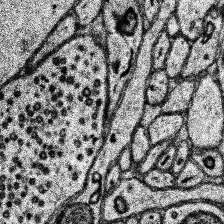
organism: Human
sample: Temporal Lobe